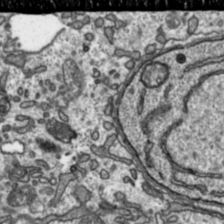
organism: Toxoplasma gondii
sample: Parasites in a vacuole inside a host cell